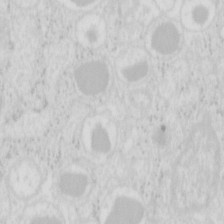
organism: Mouse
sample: Pancreas